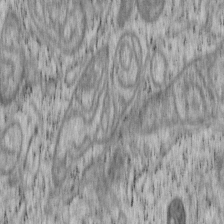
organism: Human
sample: HeLa cells